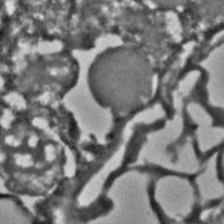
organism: C. elegans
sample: C. elegans embryo